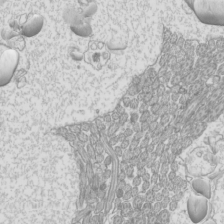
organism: Mouse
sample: Cilia; mouse epididymis